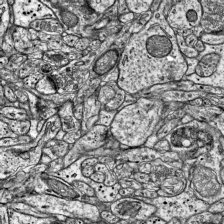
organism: Mouse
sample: Visual Cortex